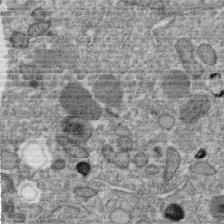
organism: C. elegans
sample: C. elegans oocyte; sperm cells